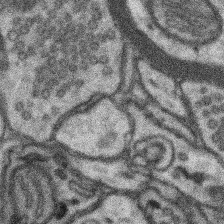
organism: Mouse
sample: Somatosensory cortex neuropil